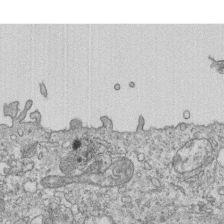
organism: Human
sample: HeLa cell HIV synapse